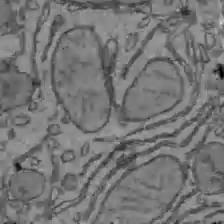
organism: C57BL Mouse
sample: Liver